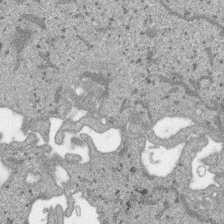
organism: Human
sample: Lung epithelial cells infected with SARS-CoV-2